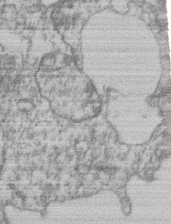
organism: Mouse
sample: T cell stromal cell synapse